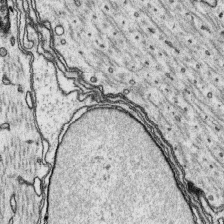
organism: Platynereis dumerilii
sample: Parapodia